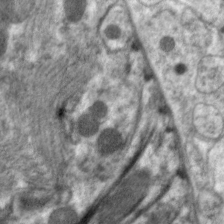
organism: C. elegans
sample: Pharynx